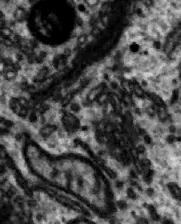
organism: Human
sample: HeLa cells